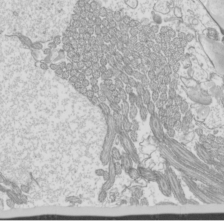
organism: Mouse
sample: Cilia; mouse epididymis